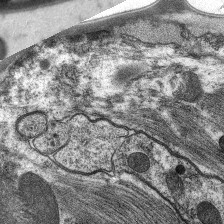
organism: C. elegans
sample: Pharynx